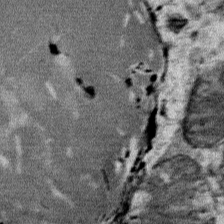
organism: Mouse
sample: Mouse Salivary gland